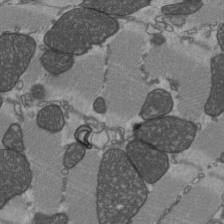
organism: C57BL Mouse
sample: Heart